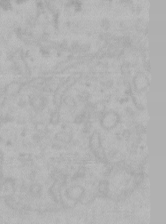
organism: Mouse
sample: Choroid plexus